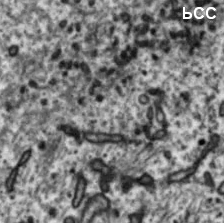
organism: Human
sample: HeLa cells